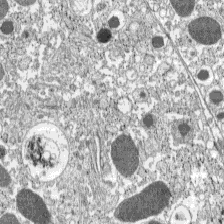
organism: C57BL Mouse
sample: Pancreatic islet